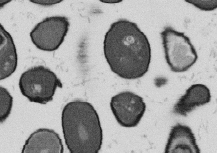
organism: B. subtilis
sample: Bacterial spore